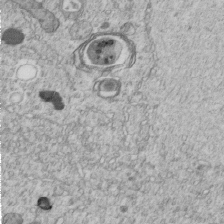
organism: C. elegans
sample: C. elegans embryo early stage